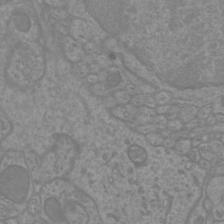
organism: Mouse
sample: Cortical neurons